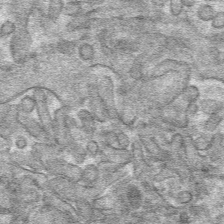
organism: Mouse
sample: Mouse hepatocytes